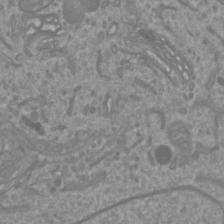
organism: Mouse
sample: Cortical neurons